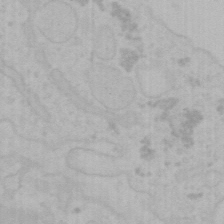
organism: Mouse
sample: Choroid plexus